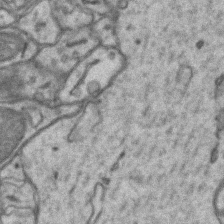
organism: Mouse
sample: CA1 Hippocampus